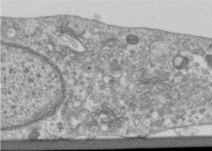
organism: Human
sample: Centriole in RPE cells